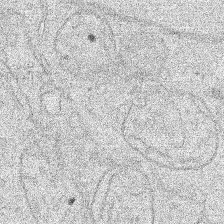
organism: Human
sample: Mitochondria in HCT116 cells